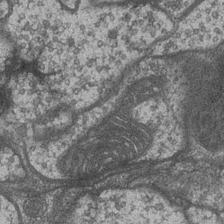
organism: Drosophila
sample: Optic medulla